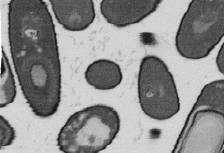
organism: B. subtilis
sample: Bacterial spore